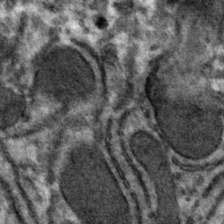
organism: Mouse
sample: Mouse hepatocytes